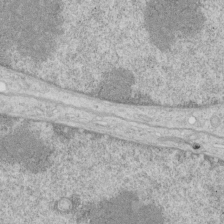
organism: Human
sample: Mitochondria in HCT116 cells